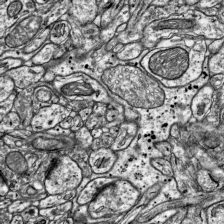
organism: Mouse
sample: Visual Cortex